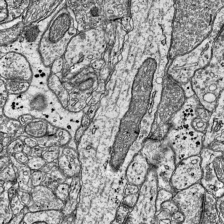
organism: Mouse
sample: Visual Cortex